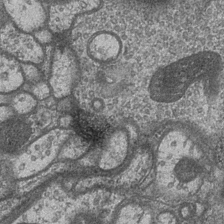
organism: Drosophila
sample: Optic medulla